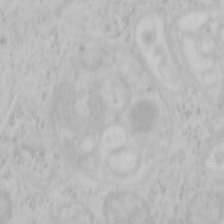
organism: Mouse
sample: OT-I killer T cells with ID8 ovarian cancer cells